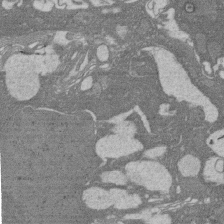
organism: Rat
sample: Salivary granule